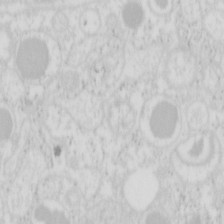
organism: Mouse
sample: Pancreas